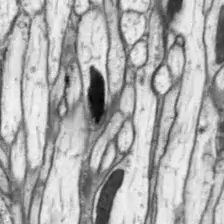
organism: Drosophila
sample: Optic lobe